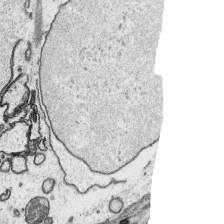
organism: Platynereis dumerilii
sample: Parapodia